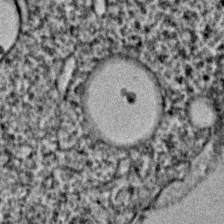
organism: C. elegans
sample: C. elegans embryo